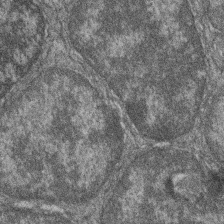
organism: Zebrafish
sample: Cilia; retinal pigment epithelium